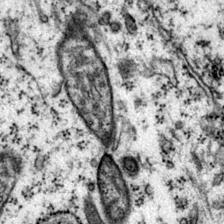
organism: Mouse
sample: Primary visual cortex